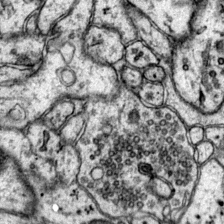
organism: Mouse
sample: Primary visual cortex